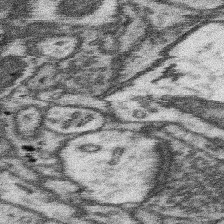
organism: Mouse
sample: Somatosensory cortex neuropil